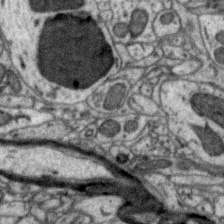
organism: Zebra finch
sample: Brain